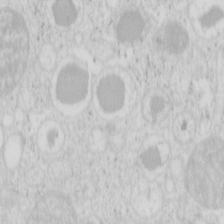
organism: Mouse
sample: Pancreas